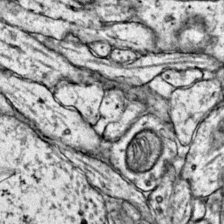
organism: Mouse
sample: Primary visual cortex